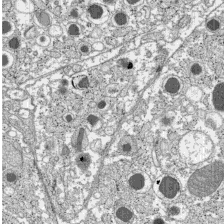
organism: C57BL Mouse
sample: Pancreatic islet